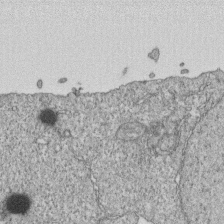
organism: Human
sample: HeLa cell HIV synapse